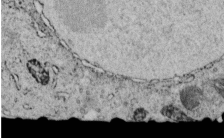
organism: C. elegans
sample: C. elegans embryo early stage